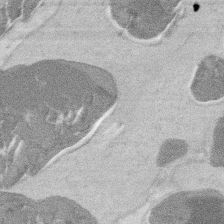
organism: Mouse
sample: T cell stromal cell synapse